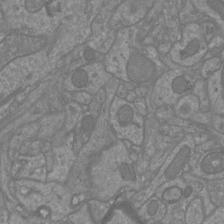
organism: Mouse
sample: Cortical neurons